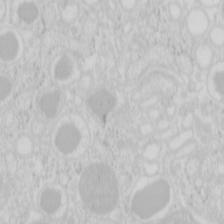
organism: Mouse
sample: Pancreas